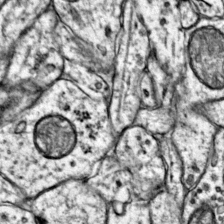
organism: Mouse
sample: Primary visual cortex